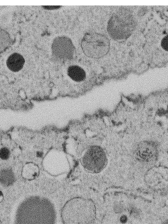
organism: C. elegans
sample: C. elegans embryo early stage